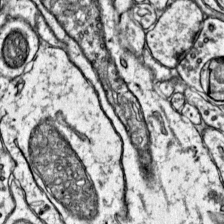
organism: Mouse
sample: Primary visual cortex